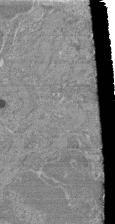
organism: Mouse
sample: Glomerulus